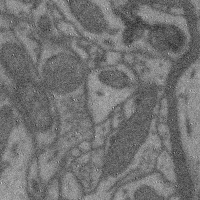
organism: Mouse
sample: Cerebral cortex